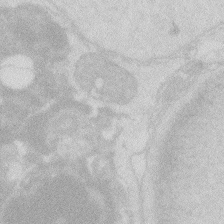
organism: Zebrafish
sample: Macrophage